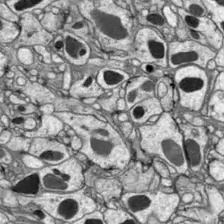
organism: Drosophila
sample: Optic lobe